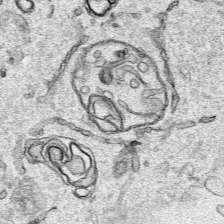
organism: Human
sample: Mitochondria in HCT116 cells